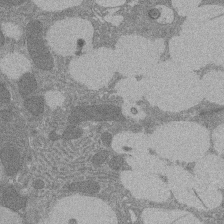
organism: Rat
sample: Salivary granule